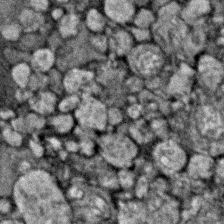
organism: Zebrafish